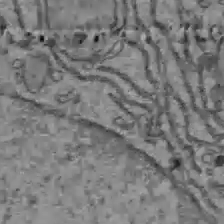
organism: C57BL Mouse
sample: Liver